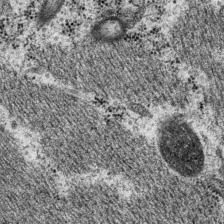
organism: P. pacificus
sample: Pharynx